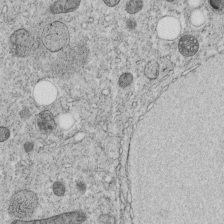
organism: C. elegans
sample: C. elegans embryo early stage